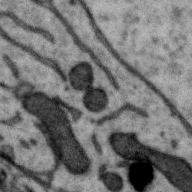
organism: Zebra finch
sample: Brain